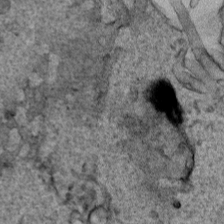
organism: Human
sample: Mitochondria in HCT116 cells